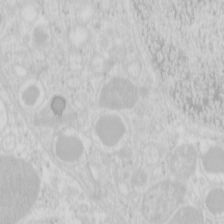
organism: Mouse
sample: Pancreas